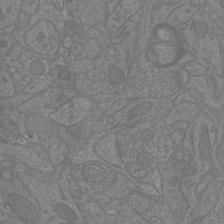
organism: Mouse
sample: Cortical neurons